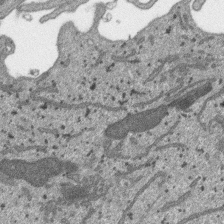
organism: Human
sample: Lung epithelial cells infected with SARS-CoV-2